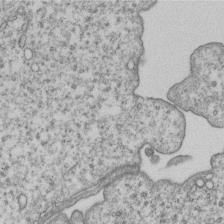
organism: Human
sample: MDA-MB-231 cells